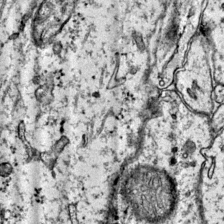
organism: Mouse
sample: Primary visual cortex